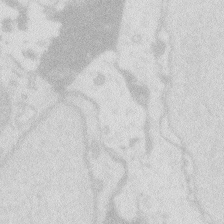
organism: Zebrafish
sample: Macrophage